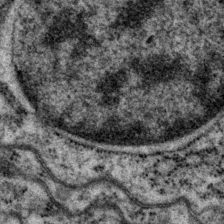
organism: P. pacificus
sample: Pharynx